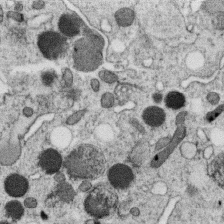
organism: C. elegans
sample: C. elegans oocyte; sperm cells